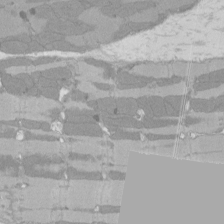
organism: Rat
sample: Left ventricle